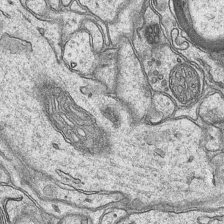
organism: Mouse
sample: CA1 Hippocampus